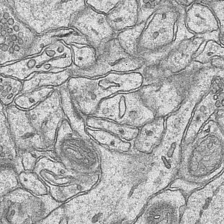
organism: Mouse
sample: CA1 Hippocampus